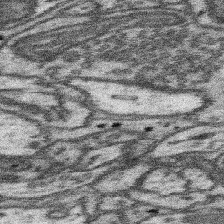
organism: Mouse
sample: Somatosensory cortex neuropil